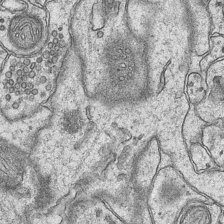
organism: Mouse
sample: CA1 Hippocampus